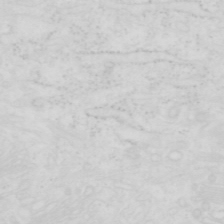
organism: Human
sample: SUM-159 cell